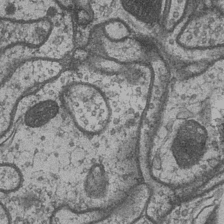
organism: Drosophila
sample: Optic medulla